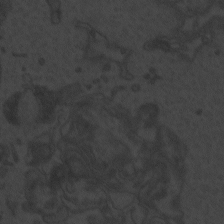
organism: Zebrafish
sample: Macrophage infected with Toxoplasma gondii